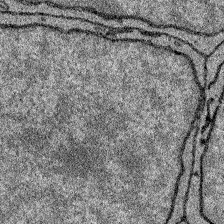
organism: Zebrafish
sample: Larval olfactory bulb